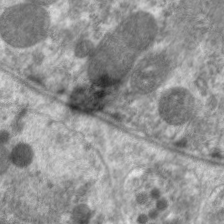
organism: C. elegans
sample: Pharynx